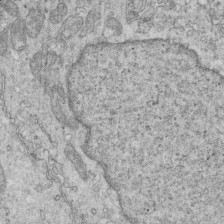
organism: Mouse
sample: Multiciliated cells